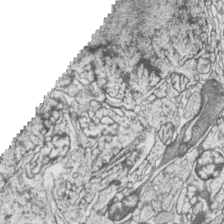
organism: Zebrafish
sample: synaptic ribbons in rod cells and cone cells